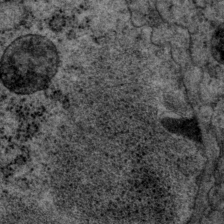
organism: P. pacificus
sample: Pharynx